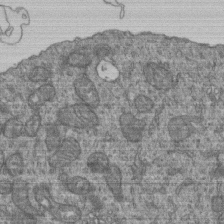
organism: Human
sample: Retinal organoid Rod and Cone cells